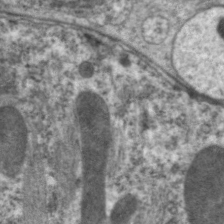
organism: C. elegans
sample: Pharynx